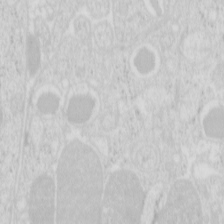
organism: Mouse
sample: Pancreas